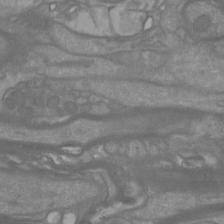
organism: Mouse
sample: Cortical neurons